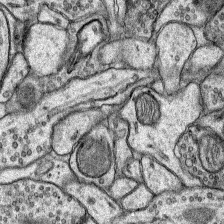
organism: Rat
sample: Hippocampus